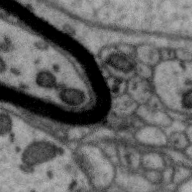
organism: Zebra finch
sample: Brain